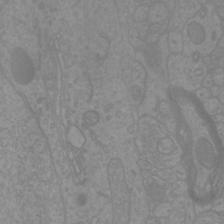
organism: Mouse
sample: Cortical neurons